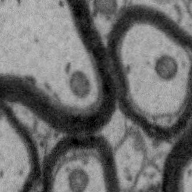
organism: Zebra finch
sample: Brain